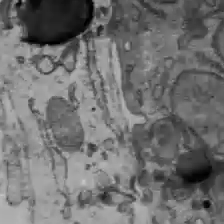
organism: C57BL Mouse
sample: Liver